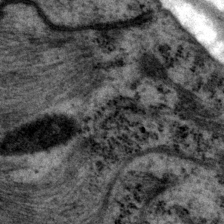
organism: P. pacificus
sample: Pharynx